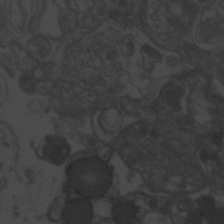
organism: Zebrafish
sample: Macrophage infected with Toxoplasma gondii